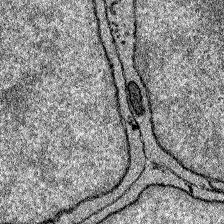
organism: Zebrafish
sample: Larval olfactory bulb